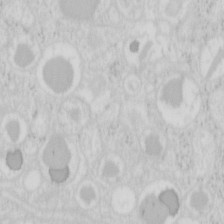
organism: Mouse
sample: Pancreas